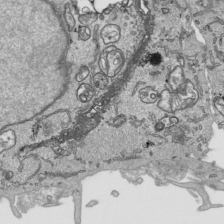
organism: Human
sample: Mitochondria in HCT116 cells